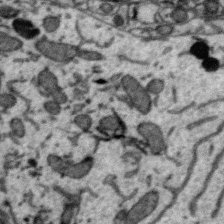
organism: Zebra finch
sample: Brain